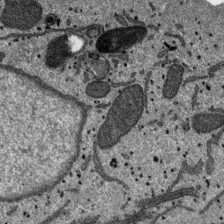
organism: Human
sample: Lung epithelial cells, uninfected (mock) control